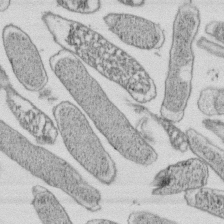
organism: E. coli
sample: Bacterial nucleoid